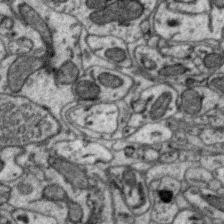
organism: Zebra finch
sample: Brain